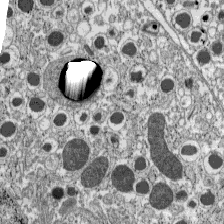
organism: C57BL Mouse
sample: Pancreatic islet